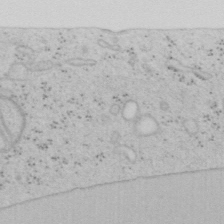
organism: Human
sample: HeLa cells